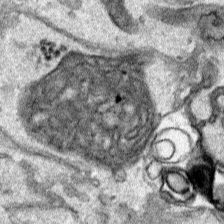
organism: Human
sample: Mitochondria in HCT116 cells